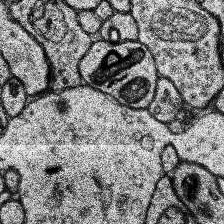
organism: Human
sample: Temporal Lobe